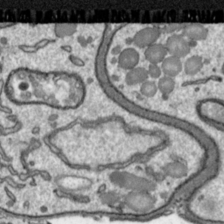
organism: Toxoplasma gondii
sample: Parasites in a vacuole inside a host cell